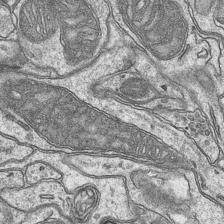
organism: Mouse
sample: CA1 Hippocampus